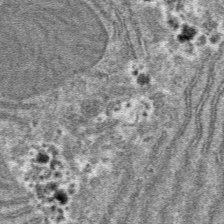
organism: Mouse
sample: Mouse hepatocytes